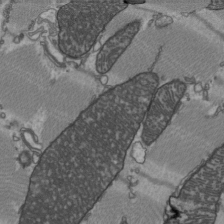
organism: C57BL Mouse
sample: Heart